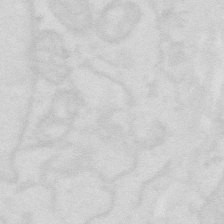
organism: Human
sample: HeLa cells